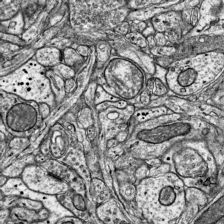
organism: Mouse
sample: Visual Cortex